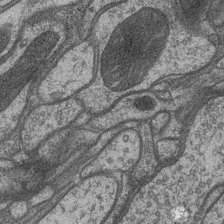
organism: Drosophila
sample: Optic medulla